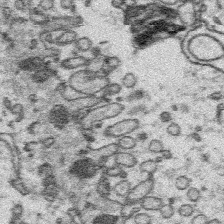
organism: Platynereis dumerilii